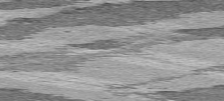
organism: C57BL Mouse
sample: Heart